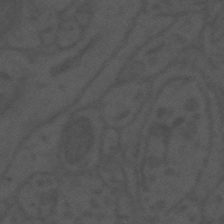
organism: Mouse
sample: Suprachiasmatic nucleus